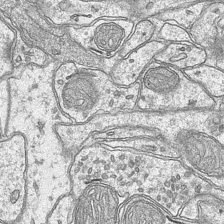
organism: Mouse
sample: CA1 Hippocampus